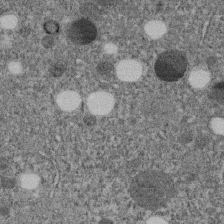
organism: C. elegans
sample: C. elegans embryo early stage